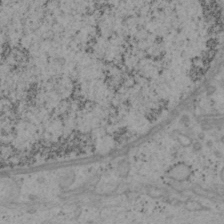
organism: Human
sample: HeLa cells